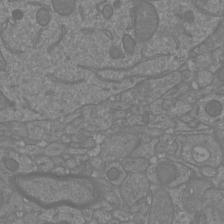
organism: Mouse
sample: Cortical neurons